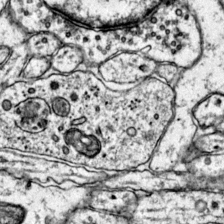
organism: Mouse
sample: Primary visual cortex